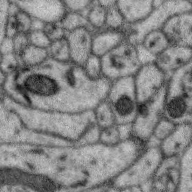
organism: Zebra finch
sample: Brain